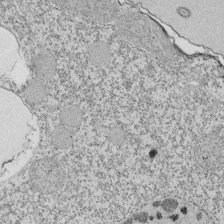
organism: Tetrahymena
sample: Cilia in tetrahymena